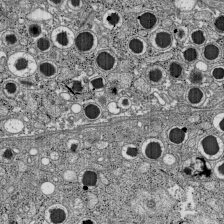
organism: C57BL Mouse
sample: Pancreatic islet